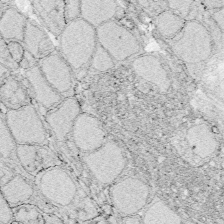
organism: Zebrafish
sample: Whole-Brain